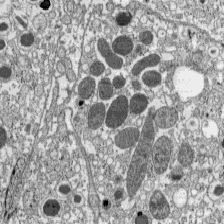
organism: C57BL Mouse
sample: Pancreatic islet